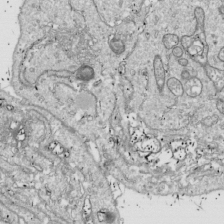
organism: Drosophila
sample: Cell division; meiosis; drosophila spermatocytes